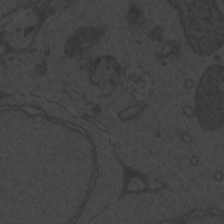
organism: Zebrafish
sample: Macrophage infected with Toxoplasma gondii